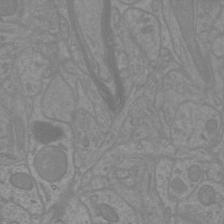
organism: Mouse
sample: Cortical neurons